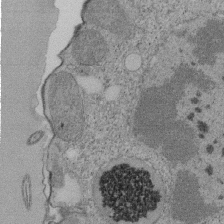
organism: Tetrahymena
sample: Cilia in tetrahymena